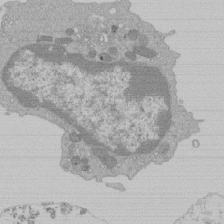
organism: Mouse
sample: Activated Pmel transgenic CD8+ T Cells